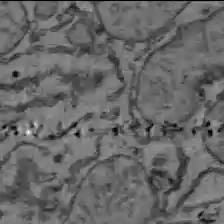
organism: C57BL Mouse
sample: Liver